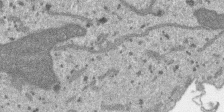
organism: Human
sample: Lung epithelial cells infected with SARS-CoV-2